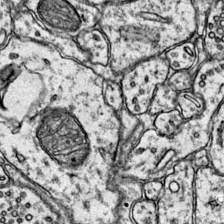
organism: Mouse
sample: Primary visual cortex